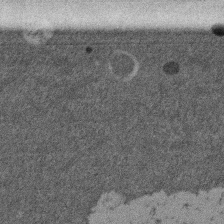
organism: Mouse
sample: Dividing mouse embryo 1 cell stage